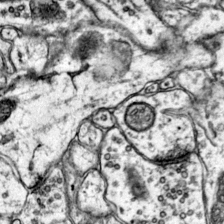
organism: Mouse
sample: Primary visual cortex